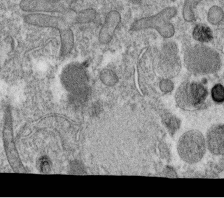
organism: C. elegans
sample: C. elegans oocyte; sperm cells